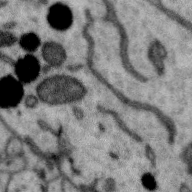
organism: Zebra finch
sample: Brain